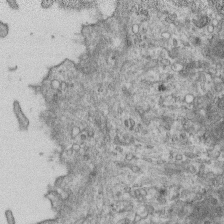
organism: Mouse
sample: Centriole in ependymal cells